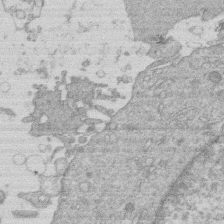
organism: Human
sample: Macrophage cells